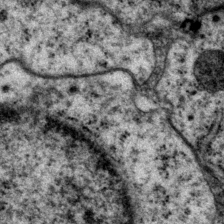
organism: P. pacificus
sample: Pharynx